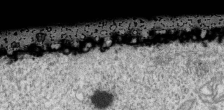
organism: Human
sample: HeLa cell HIV synapse